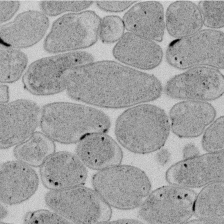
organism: E. coli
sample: Bacterial nucleoid